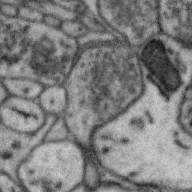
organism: Zebra finch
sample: Brain